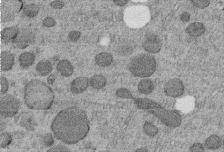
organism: C. elegans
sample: C. elegans embryo early stage